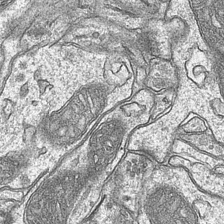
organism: Mouse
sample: CA1 Hippocampus